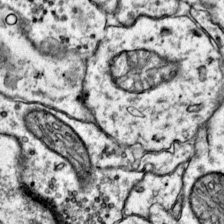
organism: Mouse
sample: Primary visual cortex